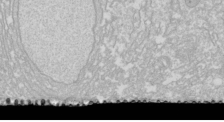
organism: Drosophila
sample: Cell division; meiosis; drosophila spermatocytes